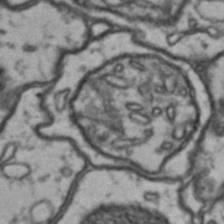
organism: Drosophila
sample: Brain